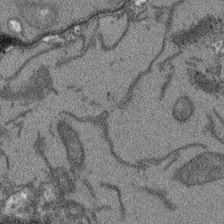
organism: Arabidopsis thaliana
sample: Root tip